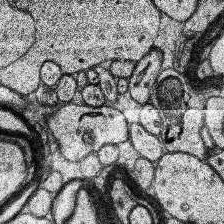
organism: Human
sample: Temporal Lobe